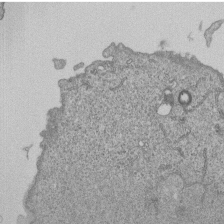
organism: Human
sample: MDA-MB-231 cells